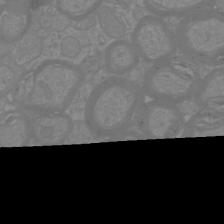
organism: Mouse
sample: Cortical neurons